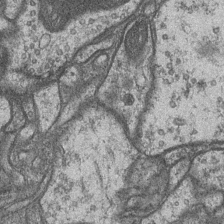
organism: Drosophila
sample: Optic medulla